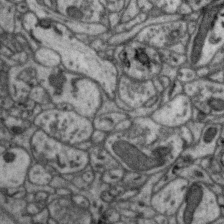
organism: Zebra finch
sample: Brain